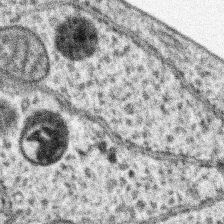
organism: Human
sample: HeLa cells